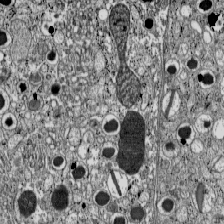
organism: C57BL Mouse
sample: Pancreatic islet